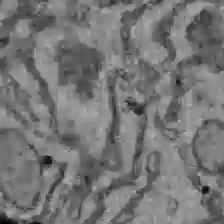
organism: C57BL Mouse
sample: Liver